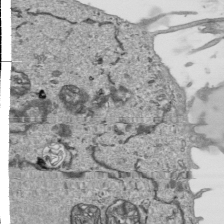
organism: Human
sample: Mitochondria in HCT116 cells